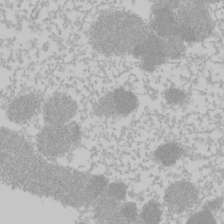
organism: Mouse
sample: Cancer cell death in ED-1 cells